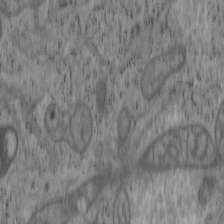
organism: Human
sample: HeLa cells